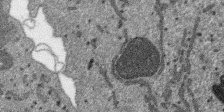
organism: Human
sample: Lung epithelial cells infected with SARS-CoV-2